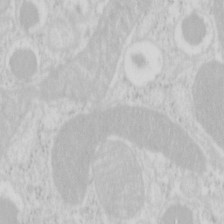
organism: Mouse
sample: Pancreas